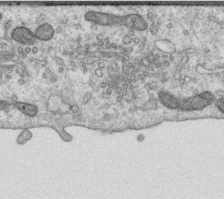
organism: Human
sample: Centriole in RPE cells